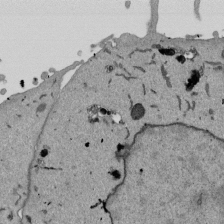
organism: Mouse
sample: ED-1 cell nuclei; centrioles